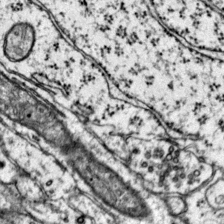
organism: Mouse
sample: Primary visual cortex